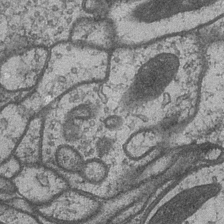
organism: Drosophila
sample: Optic medulla